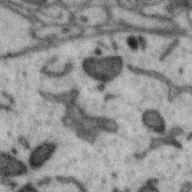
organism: Zebra finch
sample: Brain